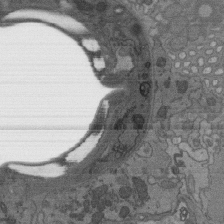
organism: C. elegans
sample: AFD neurons C. elegans